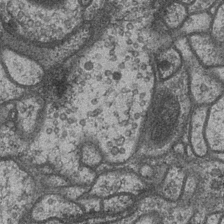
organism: Drosophila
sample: Optic medulla